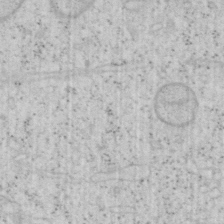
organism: Human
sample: HeLa cells